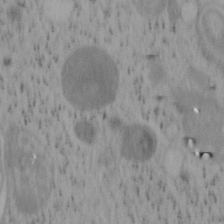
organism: Mouse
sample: OT-I killer T cells with ID8 ovarian cancer cells